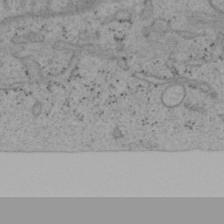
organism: Human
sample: HeLa cells